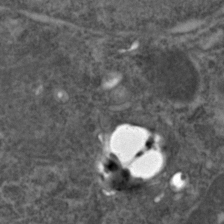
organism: Zebrafish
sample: Zebrafish embryo